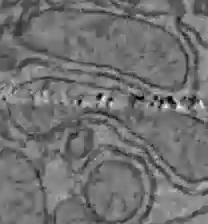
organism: C57BL Mouse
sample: Liver